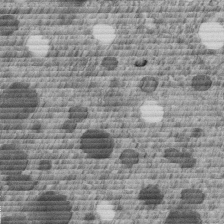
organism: C. elegans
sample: C. elegans embryo early stage